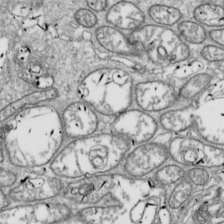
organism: Drosophila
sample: Cell division; meiosis; drosophila spermatocytes